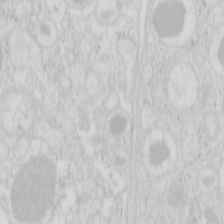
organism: Mouse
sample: Pancreas